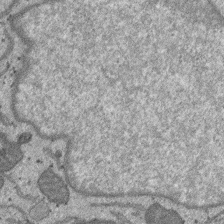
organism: Human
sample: Lung epithelial cells infected with SARS-CoV-2